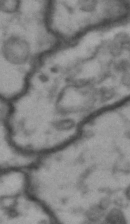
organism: Drosophila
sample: Brain